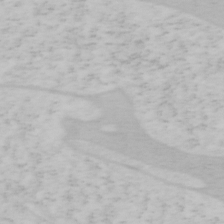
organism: Mouse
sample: OT-I killer T cells with ID8 ovarian cancer cells